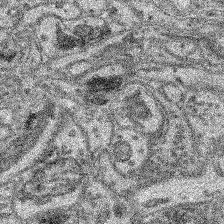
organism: Mouse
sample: Retina